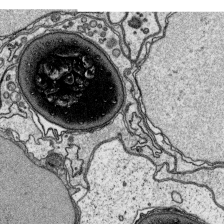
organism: Platynereis dumerilii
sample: Parapodia